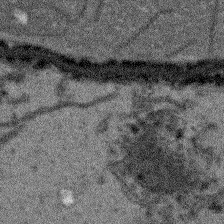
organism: Arabidopsis thaliana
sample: Root tip